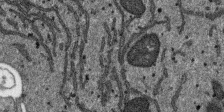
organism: Human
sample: Lung epithelial cells infected with SARS-CoV-2